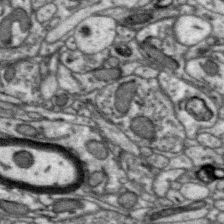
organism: Zebra finch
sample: Brain